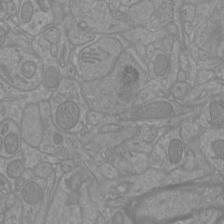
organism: Mouse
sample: Cortical neurons